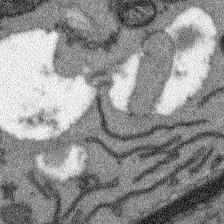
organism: Arabidopsis thaliana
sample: Root tip